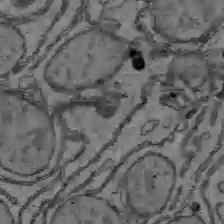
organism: C57BL Mouse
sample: Liver